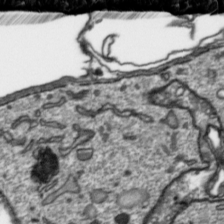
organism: Toxoplasma gondii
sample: Parasites in a vacuole inside a host cell